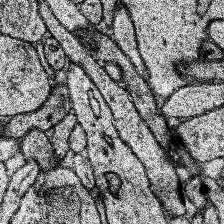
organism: Human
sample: Temporal Lobe